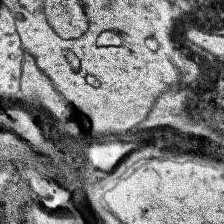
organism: Human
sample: Temporal Lobe